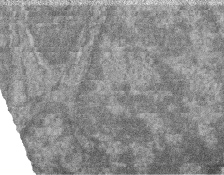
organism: Zebrafish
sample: Cilia; retinal pigment epithelium